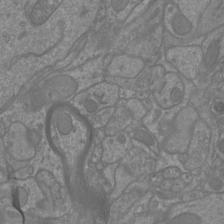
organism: Mouse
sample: Cortical neurons